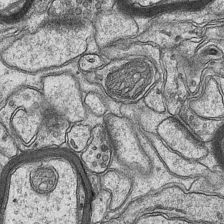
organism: Mouse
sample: CA1 Hippocampus